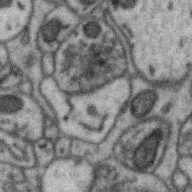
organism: Zebra finch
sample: Brain